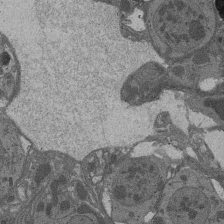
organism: Drosophila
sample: Antenna